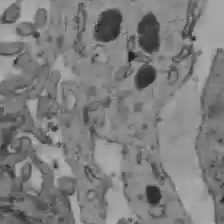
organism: C57BL Mouse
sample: Liver